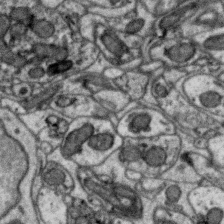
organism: Zebra finch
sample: Brain